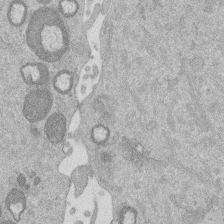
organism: Mouse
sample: Dividing mouse embryo 1 cell stage